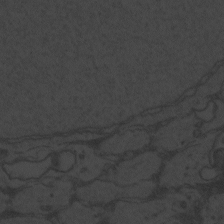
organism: Zebrafish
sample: Macrophage infected with Toxoplasma gondii